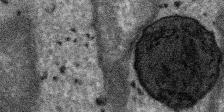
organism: Human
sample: Lung epithelial cells infected with SARS-CoV-2